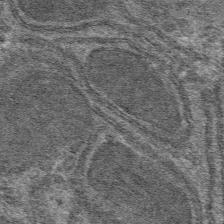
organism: Mouse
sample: Mouse hepatocytes